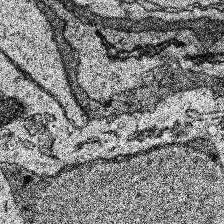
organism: Human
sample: Temporal Lobe